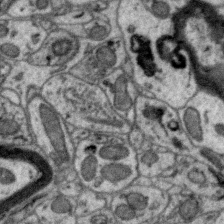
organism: Zebra finch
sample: Brain